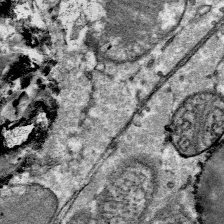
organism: Mouse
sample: Mouse Salivary gland